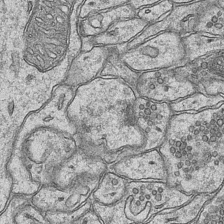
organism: Mouse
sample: CA1 Hippocampus